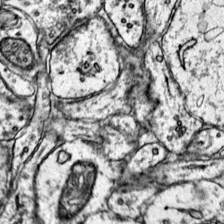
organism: Mouse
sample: Primary visual cortex